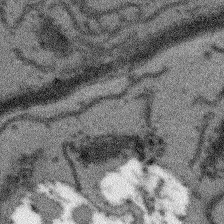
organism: Arabidopsis thaliana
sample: Root tip